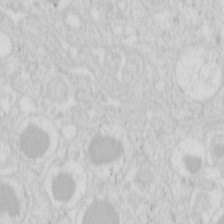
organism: Mouse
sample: Pancreas